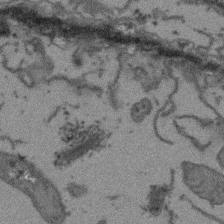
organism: Arabidopsis thaliana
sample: Root tip